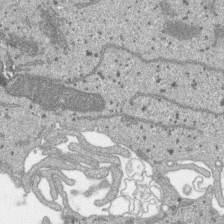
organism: Human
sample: Lung epithelial cells infected with SARS-CoV-2